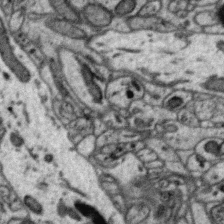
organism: Zebra finch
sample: Brain